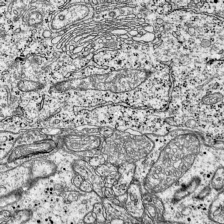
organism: Mouse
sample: Visual Cortex